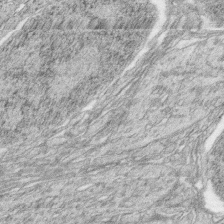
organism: Zebrafish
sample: synaptic ribbons in rod cells and cone cells